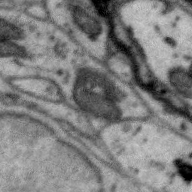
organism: Zebra finch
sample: Brain